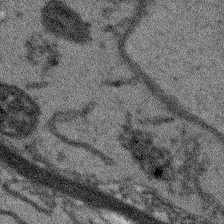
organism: Arabidopsis thaliana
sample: Root tip